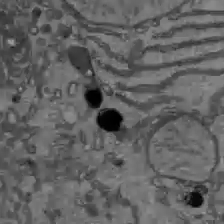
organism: C57BL Mouse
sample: Liver